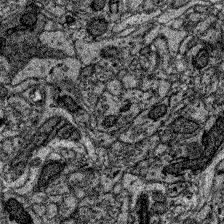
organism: Zebrafish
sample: Larval olfactory bulb